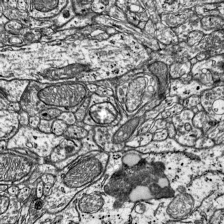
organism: Mouse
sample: Visual Cortex